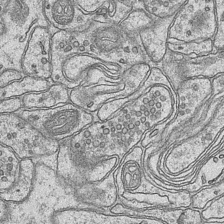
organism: Mouse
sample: CA1 Hippocampus